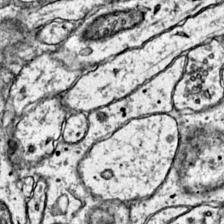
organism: Mouse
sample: Primary visual cortex